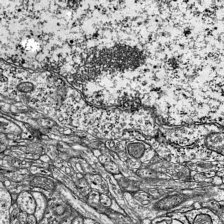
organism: Mouse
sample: Visual Cortex